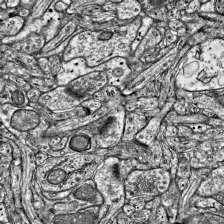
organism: Mouse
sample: Visual Cortex